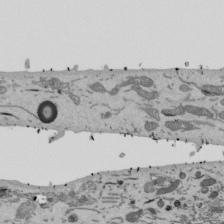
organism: Mouse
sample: ED-1 cell nuclei; centrioles